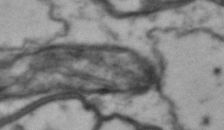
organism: Drosophila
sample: Brain